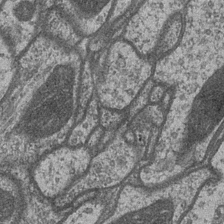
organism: Drosophila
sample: Optic medulla